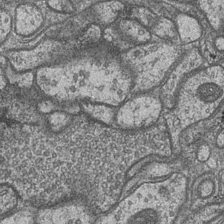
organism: Drosophila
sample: Optic medulla